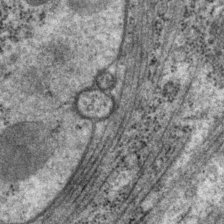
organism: P. pacificus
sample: Pharynx